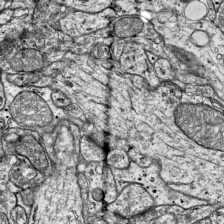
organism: Mouse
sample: Visual Cortex